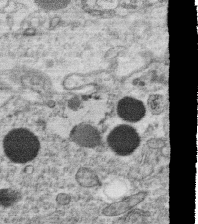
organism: C. elegans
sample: C. elegans oocyte; sperm cells